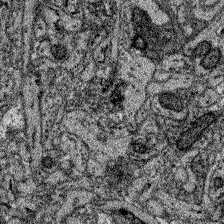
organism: Zebrafish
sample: Larval olfactory bulb